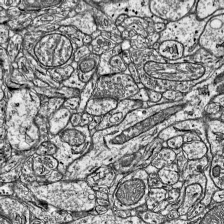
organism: Mouse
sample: Visual Cortex